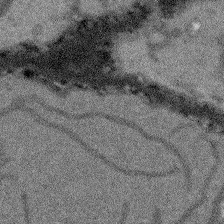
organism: Arabidopsis thaliana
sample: Root tip